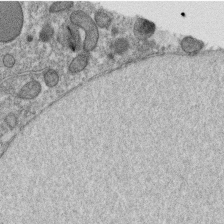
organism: C. elegans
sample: C. elegans oocyte; sperm cells